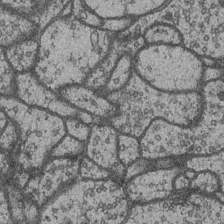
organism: Drosophila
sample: Optic medulla